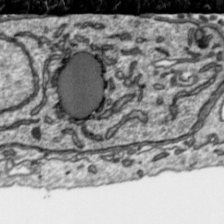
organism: Toxoplasma gondii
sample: Parasites in a vacuole inside a host cell